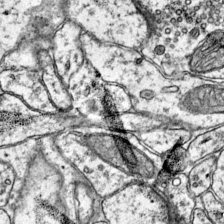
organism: Mouse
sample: Primary visual cortex